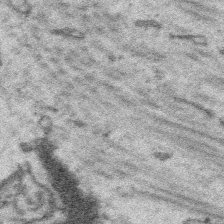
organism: Platynereis dumerilii